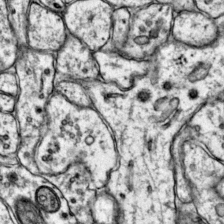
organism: Mouse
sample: Primary visual cortex